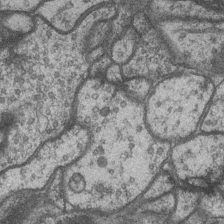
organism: Drosophila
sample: Optic medulla